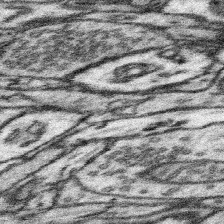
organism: Mouse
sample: Somatosensory cortex neuropil